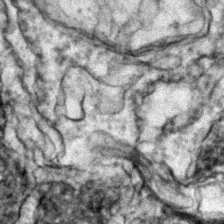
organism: Zebrafish